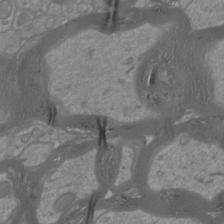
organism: Mouse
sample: Cortical neurons